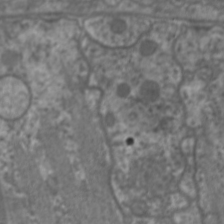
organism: C. elegans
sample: Pharynx